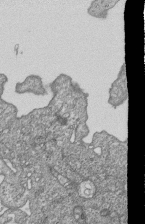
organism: Human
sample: MDA-MB-231 cells